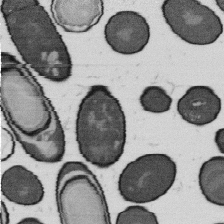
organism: B. subtilis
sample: Bacterial spore